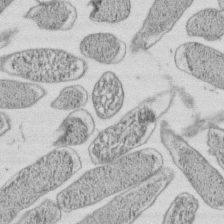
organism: E. coli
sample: Bacterial nucleoid